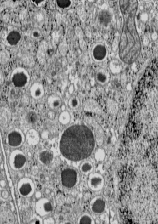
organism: C57BL Mouse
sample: Pancreatic islet